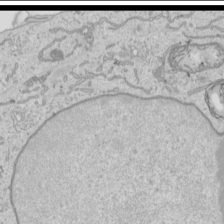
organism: Human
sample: Mitochondria in HCT116 cells